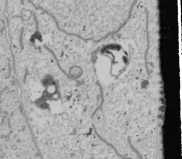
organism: Human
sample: Mitochondria in U2OS cells